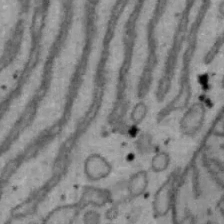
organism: Mouse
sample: Liver